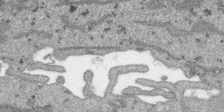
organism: Human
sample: Lung epithelial cells infected with SARS-CoV-2